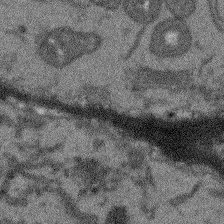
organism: Arabidopsis thaliana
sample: Root tip